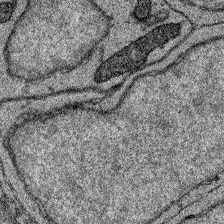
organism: Zebrafish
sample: Larval olfactory bulb